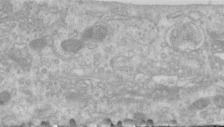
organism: Human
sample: Centriole in RPE cells